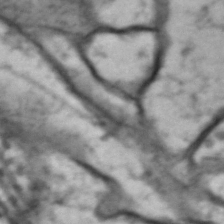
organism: Drosophila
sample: Brain